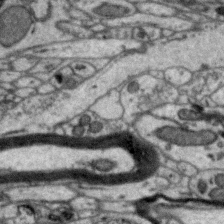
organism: Zebra finch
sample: Brain